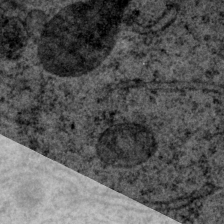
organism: P. pacificus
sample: Pharynx